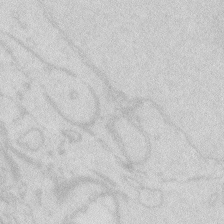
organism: Zebrafish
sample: Macrophage